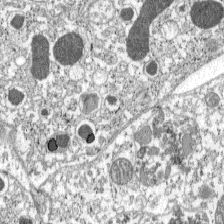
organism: C57BL Mouse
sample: Pancreatic islet